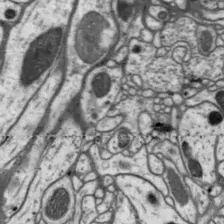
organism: Drosophila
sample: Protocerebral bridge